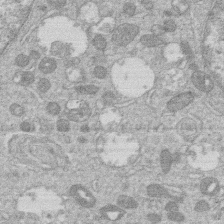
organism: Human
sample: Macrophage cells